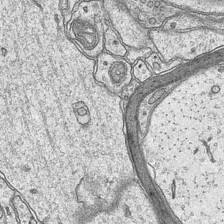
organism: Mouse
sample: CA1 Hippocampus